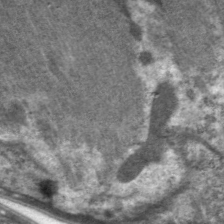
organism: C. elegans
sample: Pharynx